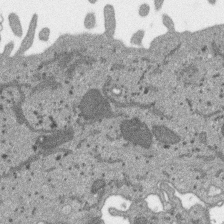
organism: Human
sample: Lung epithelial cells infected with SARS-CoV-2